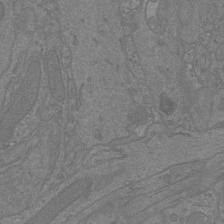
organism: Mouse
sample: Cortical neurons